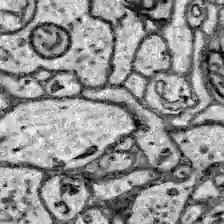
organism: Zebrafish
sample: Brain